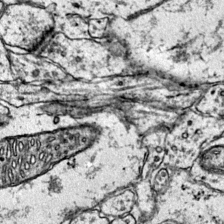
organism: Mouse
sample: Primary visual cortex